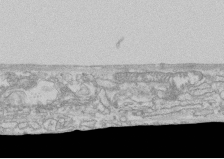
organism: Human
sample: CRL-1474